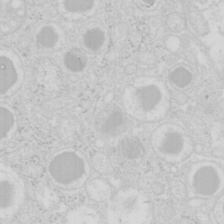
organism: Mouse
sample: Pancreas